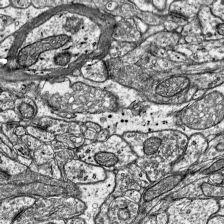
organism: Mouse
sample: Visual Cortex